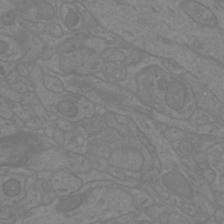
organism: Mouse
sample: Cortical neurons